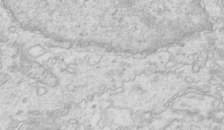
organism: Mouse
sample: Multiciliated cells